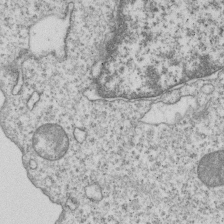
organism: Human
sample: MDA-MB-231 cells